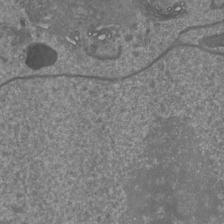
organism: Mouse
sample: Cortical neurons